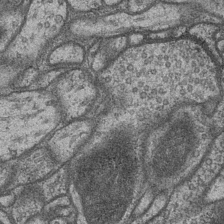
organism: Drosophila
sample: Optic medulla